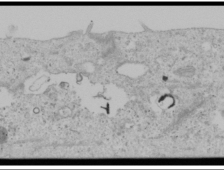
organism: Human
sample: Mitochondria in U2OS cells